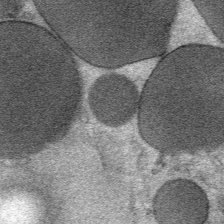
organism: Mouse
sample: Mouse Salivary gland